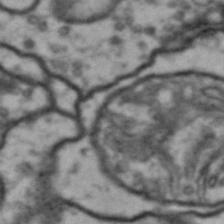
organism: Drosophila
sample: Brain